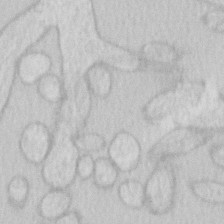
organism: Human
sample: HeLa cells